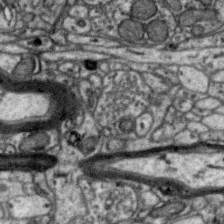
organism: Zebra finch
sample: Brain